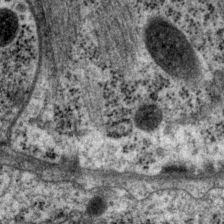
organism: P. pacificus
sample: Pharynx